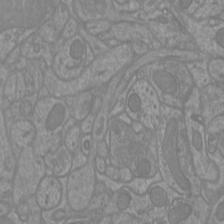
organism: Mouse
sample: Cortical neurons